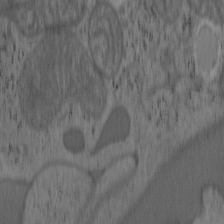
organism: Human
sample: HeLa cells